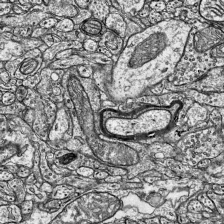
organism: Mouse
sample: Visual Cortex